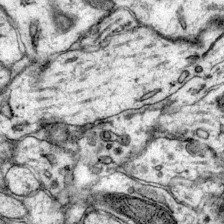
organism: Mouse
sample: Primary visual cortex